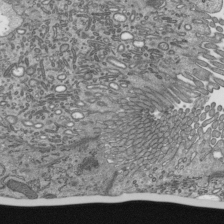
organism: Mouse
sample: Mouse epididymis efferent ductule cilia